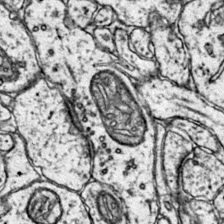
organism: Mouse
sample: Primary visual cortex